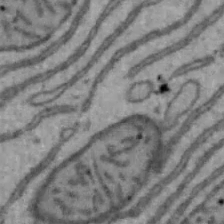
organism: Mouse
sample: Liver